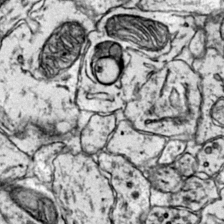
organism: Mouse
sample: Primary visual cortex